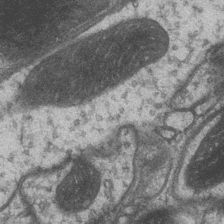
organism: Drosophila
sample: Optic medulla